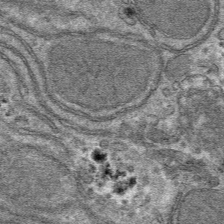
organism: Mouse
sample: Mouse hepatocytes